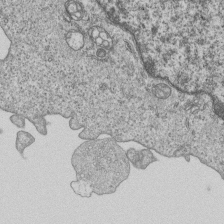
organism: Human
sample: MDA-MB-231 cells